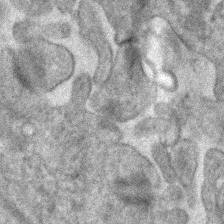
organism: Human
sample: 1205lu cells